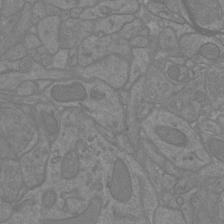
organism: Mouse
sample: Cortical neurons